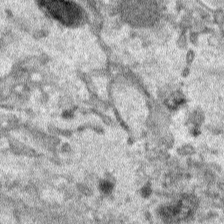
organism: Human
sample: Mitochondria in HCT116 cells